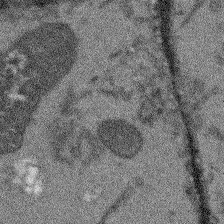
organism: Arabidopsis thaliana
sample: Root tip